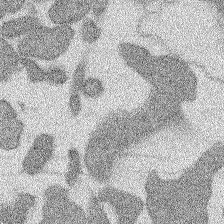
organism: Human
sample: HeLa cells